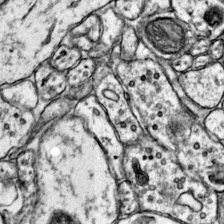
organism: Mouse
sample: Primary visual cortex